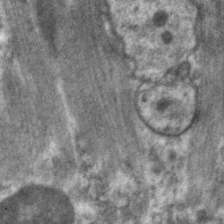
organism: C. elegans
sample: Pharynx